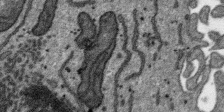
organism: Human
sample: Lung epithelial cells, uninfected (mock) control